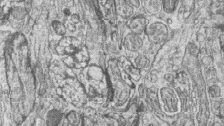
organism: Zebrafish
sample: synaptic ribbons in rod cells and cone cells